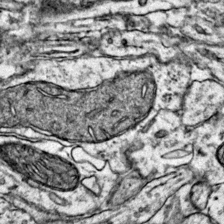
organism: Mouse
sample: Primary visual cortex